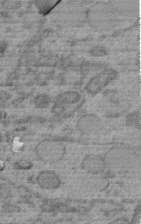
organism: C. elegans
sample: C. elegans embryo early stage